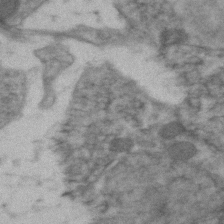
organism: Zebrafish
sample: Zebrafish embryo